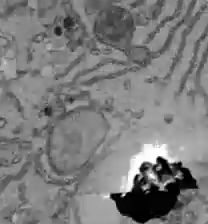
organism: C57BL Mouse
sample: Liver